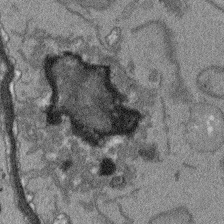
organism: Arabidopsis thaliana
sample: Root tip